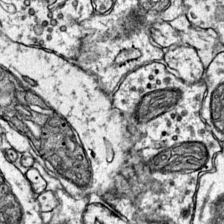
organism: Mouse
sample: Primary visual cortex